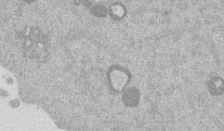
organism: Mouse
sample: Dividing mouse embryo 1 cell stage